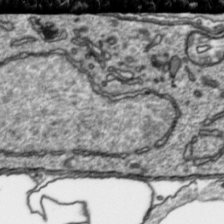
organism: Toxoplasma gondii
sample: Parasites in a vacuole inside a host cell